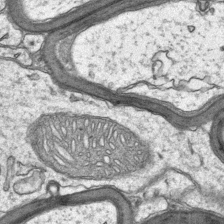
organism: Mouse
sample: CA1 Hippocampus